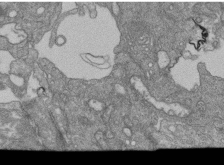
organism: Human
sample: Retinal organoid Rod and Cone cells